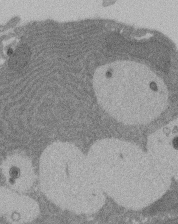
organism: Rat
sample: Salivary granule